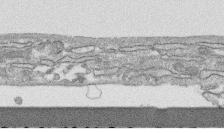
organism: Human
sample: CRL-1474